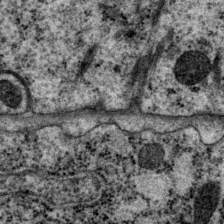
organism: P. pacificus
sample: Pharynx